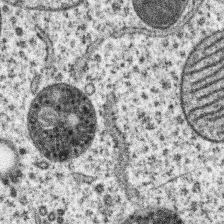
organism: Human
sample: HeLa cells